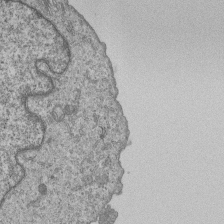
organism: Human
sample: MDA-MB-231 cells